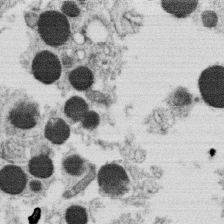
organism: C. elegans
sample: C. elegans oocyte; sperm cells